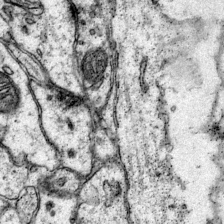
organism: Mouse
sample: Primary visual cortex